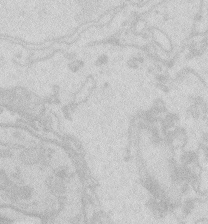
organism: Zebrafish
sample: Macrophage